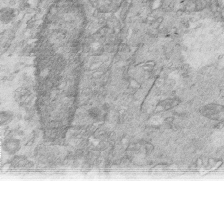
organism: Mouse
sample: Multiciliated cells